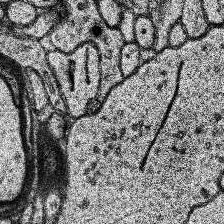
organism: Human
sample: Temporal Lobe